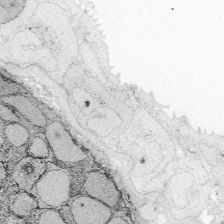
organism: Zebrafish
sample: Whole-Brain